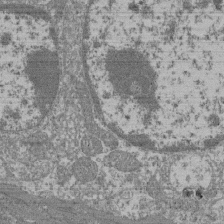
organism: Mouse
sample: Glomerulus